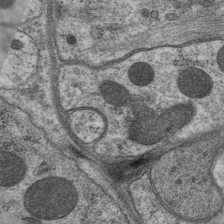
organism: C. elegans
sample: Pharynx